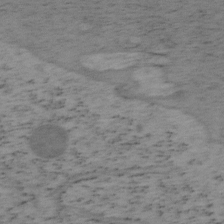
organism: Mouse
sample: OT-I killer T cells with ID8 ovarian cancer cells